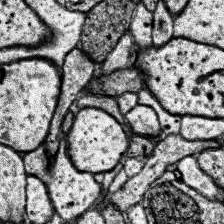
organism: Human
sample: Temporal Lobe